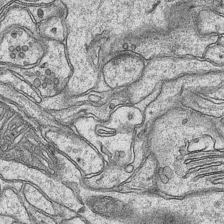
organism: Mouse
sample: CA1 Hippocampus